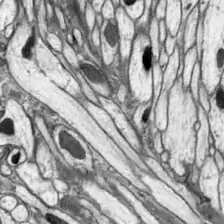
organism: Drosophila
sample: Optic lobe